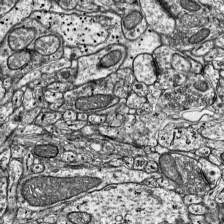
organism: Mouse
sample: Visual Cortex